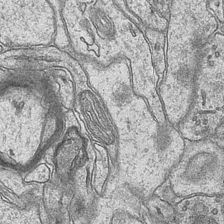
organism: Mouse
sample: CA1 Hippocampus